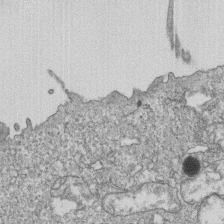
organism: Human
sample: HeLa cell HIV synapse